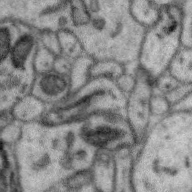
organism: Zebra finch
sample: Brain